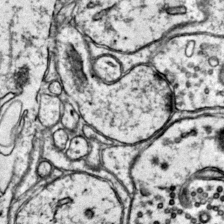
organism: Mouse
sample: Primary visual cortex